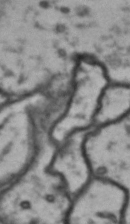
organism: Drosophila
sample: Brain